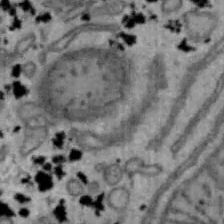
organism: Mouse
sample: Liver